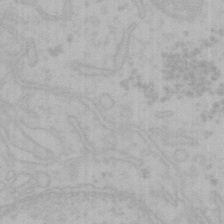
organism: Mouse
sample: Choroid plexus